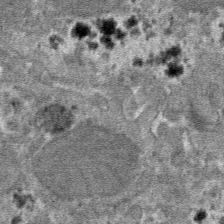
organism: Mouse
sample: Mouse hepatocytes